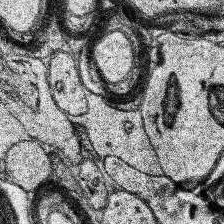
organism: Human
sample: Temporal Lobe